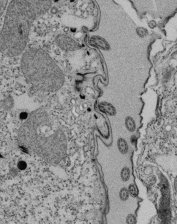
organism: Tetrahymena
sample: Cilia in tetrahymena